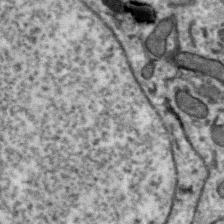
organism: Zebra finch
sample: Brain